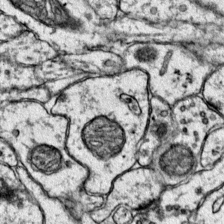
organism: Mouse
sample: Primary visual cortex